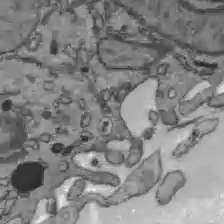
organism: C57BL Mouse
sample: Liver